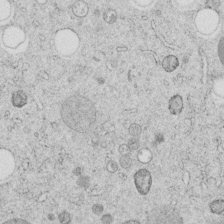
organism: C. elegans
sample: C. elegans embryo early stage